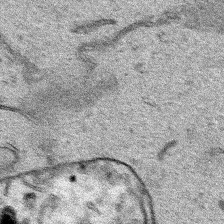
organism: Human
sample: Mitochondria in HCT116 cells